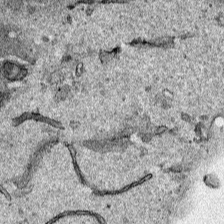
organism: Human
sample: Mitochondria in HCT116 cells